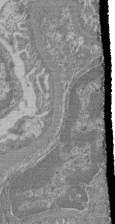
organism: Mouse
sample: Glomerulus